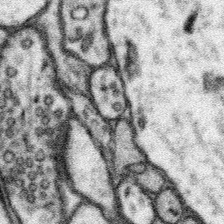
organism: Mouse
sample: Somatosensory cortex neuropil